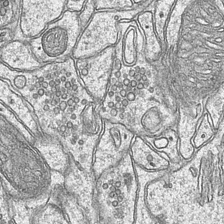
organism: Mouse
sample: CA1 Hippocampus